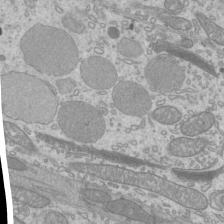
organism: Mouse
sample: Cilia; mouse epididymis